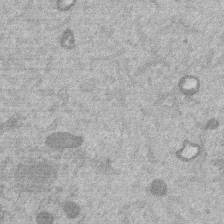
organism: Mouse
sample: Dividing mouse embryo 1 cell stage